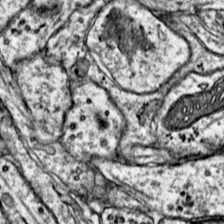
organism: Mouse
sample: Primary visual cortex